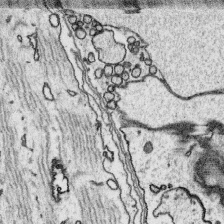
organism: Platynereis dumerilii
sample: Parapodia